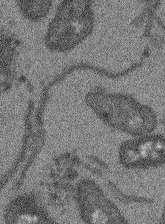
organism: Arabidopsis thaliana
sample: Root tip